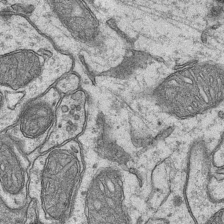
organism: Mouse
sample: CA1 Hippocampus